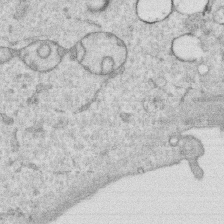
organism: Human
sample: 1205lu cells